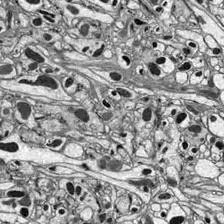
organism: Drosophila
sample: Optic lobe